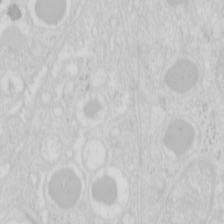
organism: Mouse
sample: Pancreas